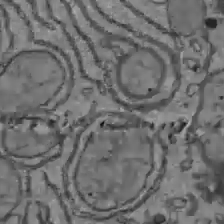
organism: C57BL Mouse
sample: Liver